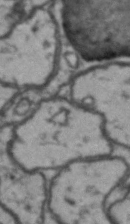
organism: Drosophila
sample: Brain